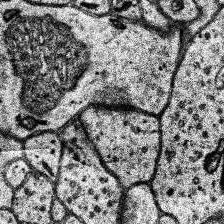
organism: Human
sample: Temporal Lobe